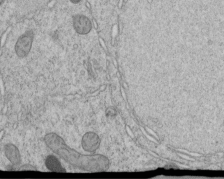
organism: C. elegans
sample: C. elegans embryo early stage